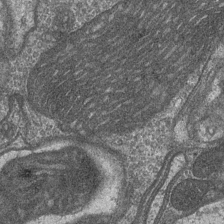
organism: Drosophila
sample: Optic medulla